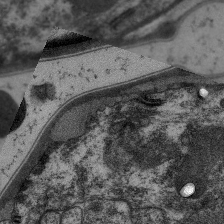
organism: C. elegans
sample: Pharynx